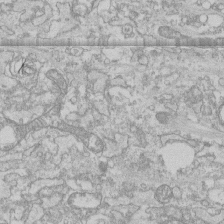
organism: Human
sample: CRL-1474